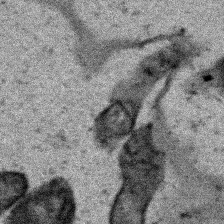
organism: Human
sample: Mitochondria in HCT116 cells